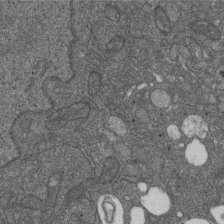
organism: Drosophila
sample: Nephrocyte